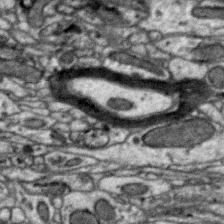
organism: Zebra finch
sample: Brain